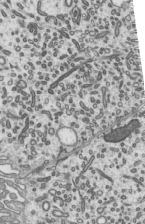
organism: Mouse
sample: Mouse epididymis efferent ductule cilia